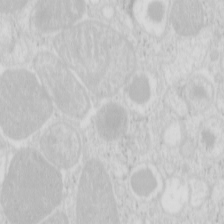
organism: Mouse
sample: Pancreas